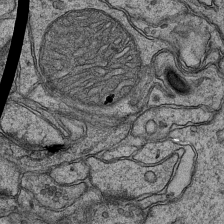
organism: Mouse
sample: CA1 Hippocampus